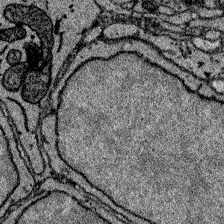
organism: Zebrafish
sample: Larval olfactory bulb